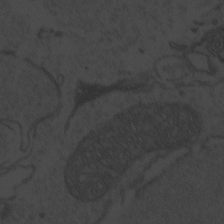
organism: Zebrafish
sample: Macrophage infected with Toxoplasma gondii